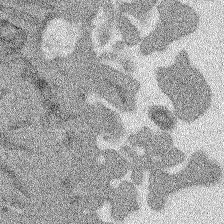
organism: Human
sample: HeLa cells